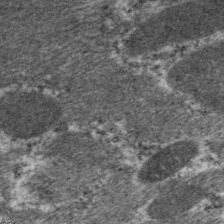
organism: C. elegans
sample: Pharynx